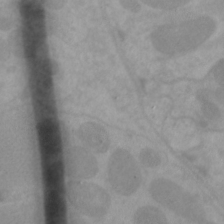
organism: C. elegans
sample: Pharynx